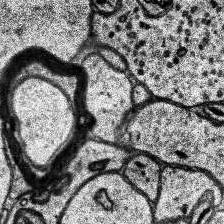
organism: Human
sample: Temporal Lobe